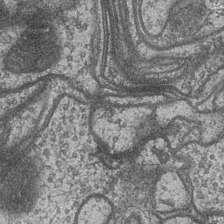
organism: Drosophila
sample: Optic medulla